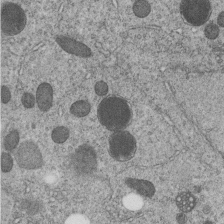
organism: C. elegans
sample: C. elegans embryo early stage